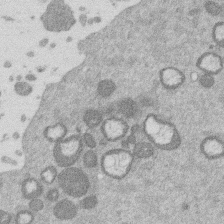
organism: Mouse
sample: Dividing mouse embryo 1 cell stage